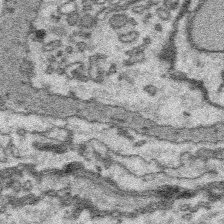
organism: Platynereis dumerilii